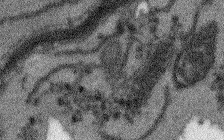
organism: Arabidopsis thaliana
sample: Root tip